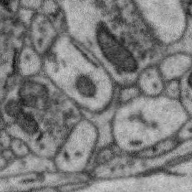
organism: Zebra finch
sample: Brain